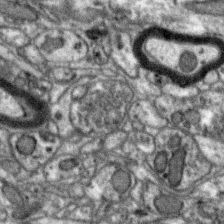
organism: Zebra finch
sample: Brain